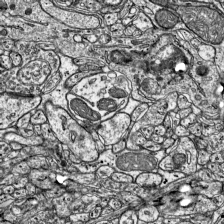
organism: Mouse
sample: Visual Cortex